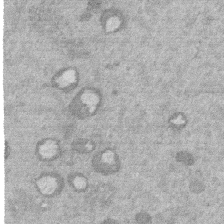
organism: Mouse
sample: Dividing mouse embryo 1 cell stage